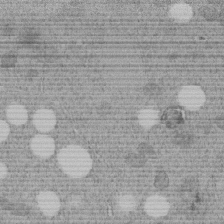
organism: C. elegans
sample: C. elegans embryo early stage